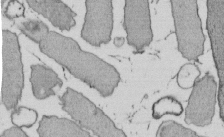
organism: E. coli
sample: Bacterial nucleoid